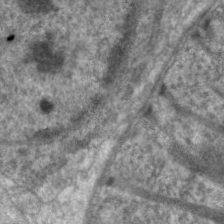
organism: C. elegans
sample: Pharynx